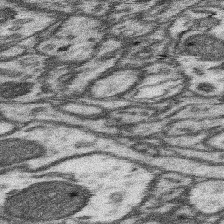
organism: Mouse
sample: Somatosensory cortex neuropil